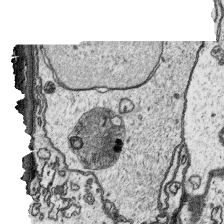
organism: Platynereis dumerilii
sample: Parapodia